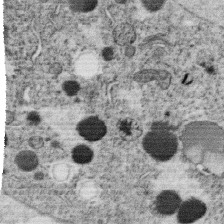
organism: C. elegans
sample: C. elegans oocyte; sperm cells